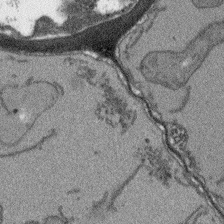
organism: Arabidopsis thaliana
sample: Root tip